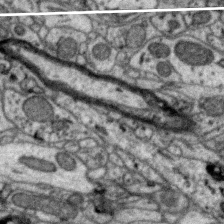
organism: Zebra finch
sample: Brain